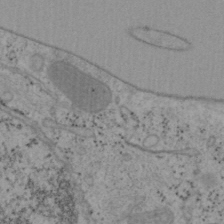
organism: Human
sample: HeLa cells